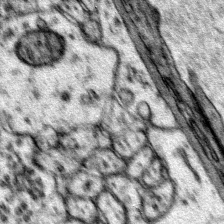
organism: Mouse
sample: Primary visual cortex